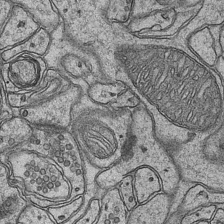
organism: Mouse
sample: CA1 Hippocampus